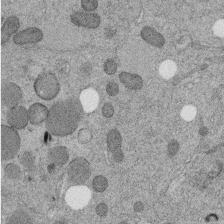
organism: C. elegans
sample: C. elegans embryo early stage